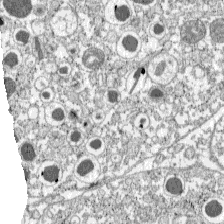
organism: C57BL Mouse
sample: Pancreatic islet